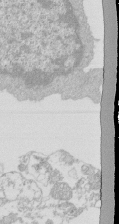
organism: Mouse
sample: Activated Pmel transgenic CD8+ T Cells